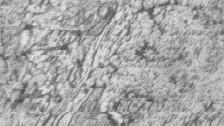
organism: Zebrafish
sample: synaptic ribbons in rod cells and cone cells